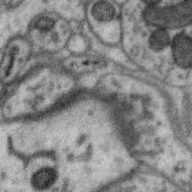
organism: Zebra finch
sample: Brain